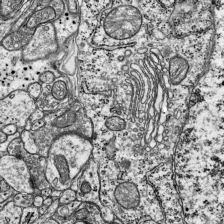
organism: Mouse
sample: Visual Cortex